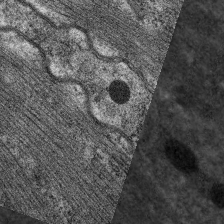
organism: C. elegans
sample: Pharynx